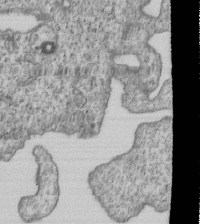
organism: Human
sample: MDA-MB-231 cells